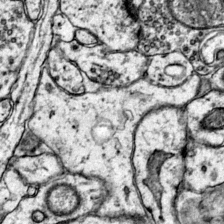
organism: Mouse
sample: Primary visual cortex